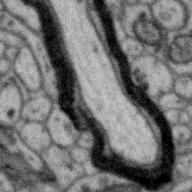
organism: Zebra finch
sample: Brain